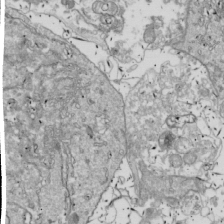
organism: Drosophila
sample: Cell division; meiosis; drosophila spermatocytes